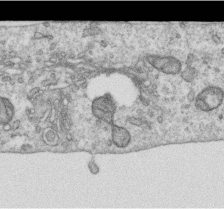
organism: Human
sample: Centriole in RPE cells